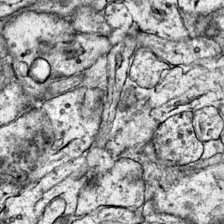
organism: Mouse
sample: Primary visual cortex